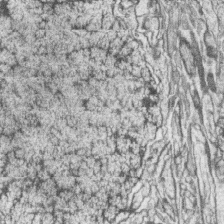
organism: Zebrafish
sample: synaptic ribbons in rod cells and cone cells